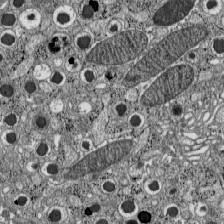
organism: C57BL Mouse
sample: Pancreatic islet